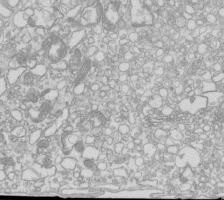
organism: Mouse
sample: Macrophages